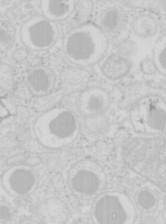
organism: Mouse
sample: Pancreas